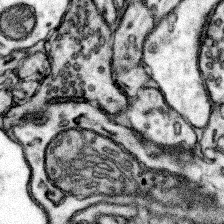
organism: Mouse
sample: Somatosensory cortex neuropil